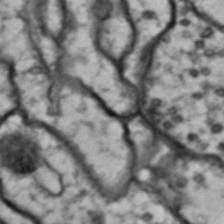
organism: Drosophila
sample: Brain